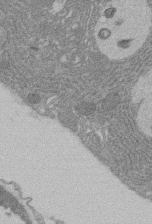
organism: Rat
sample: Salivary granule